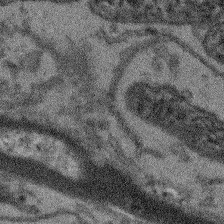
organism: Arabidopsis thaliana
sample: Root tip